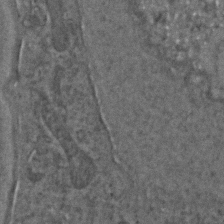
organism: C. elegans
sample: C. elegans embryo